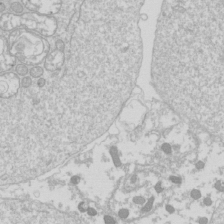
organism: Drosophila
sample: Cell division; meiosis; drosophila spermatocytes